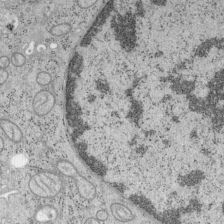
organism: Mouse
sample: OT-I killer T cells with ID8 ovarian cancer cells